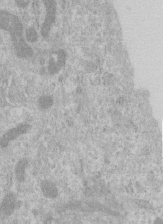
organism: Human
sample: Centriole in RPE cells